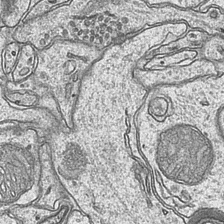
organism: Mouse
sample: CA1 Hippocampus